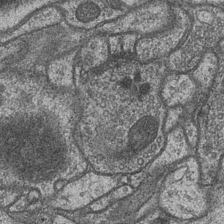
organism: Drosophila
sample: Optic medulla